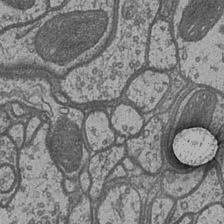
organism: Drosophila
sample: Optic medulla